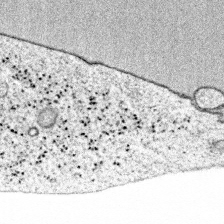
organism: Human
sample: HeLa cells